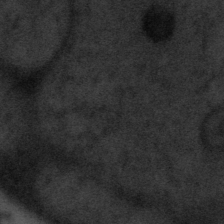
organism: Tuwongella immobilis